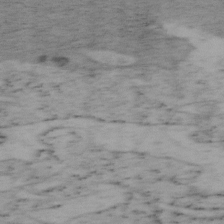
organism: Mouse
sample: OT-I killer T cells with ID8 ovarian cancer cells